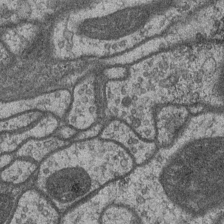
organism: Drosophila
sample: Optic medulla